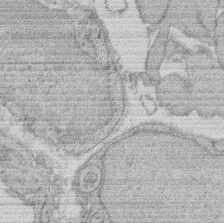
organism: Rat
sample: Salivary granule